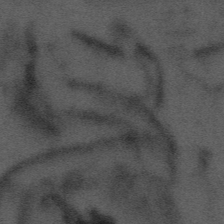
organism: Tuwongella immobilis